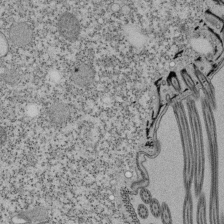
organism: Tetrahymena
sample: Cilia in tetrahymena